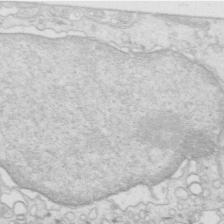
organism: Mouse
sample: Multiciliated cells